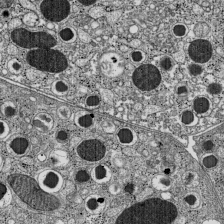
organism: C57BL Mouse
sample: Pancreatic islet